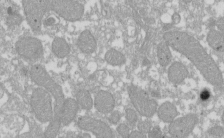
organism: Xenopus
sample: Cilia; centrioles in frog embryo cells